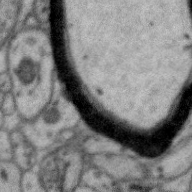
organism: Zebra finch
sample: Brain